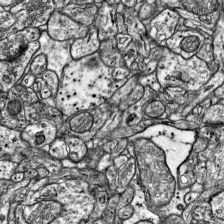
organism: Mouse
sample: Visual Cortex